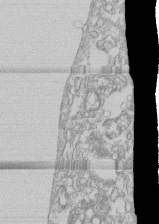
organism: Human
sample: CRL-1474